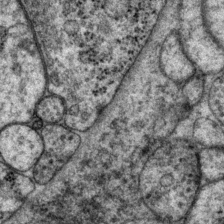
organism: P. pacificus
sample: Pharynx